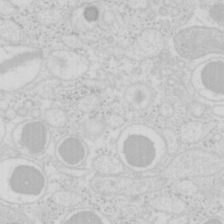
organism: Mouse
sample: Pancreas